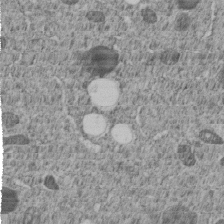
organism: C. elegans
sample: C. elegans embryo early stage